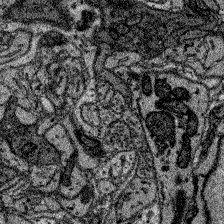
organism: Zebrafish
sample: Larval olfactory bulb